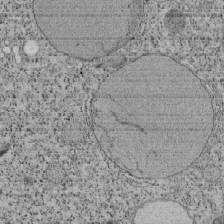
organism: Tetrahymena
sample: Cilia in tetrahymena